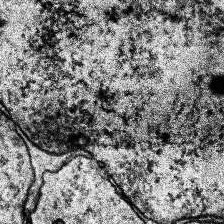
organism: Human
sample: Temporal Lobe